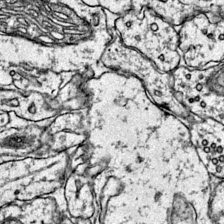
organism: Mouse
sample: Primary visual cortex